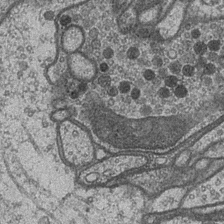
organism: Drosophila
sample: Optic medulla